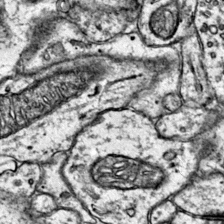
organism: Mouse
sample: Primary visual cortex